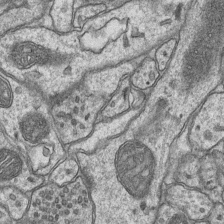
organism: Mouse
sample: CA1 Hippocampus